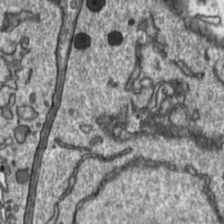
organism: Toxoplasma gondii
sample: Parasites in a vacuole inside a host cell